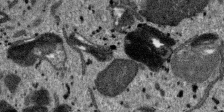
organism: Human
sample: Lung epithelial cells, uninfected (mock) control